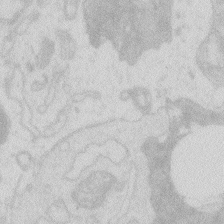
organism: Zebrafish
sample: Macrophage